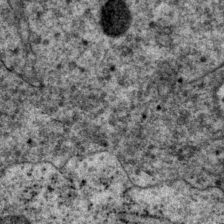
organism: P. pacificus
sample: Pharynx